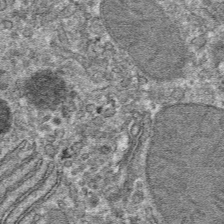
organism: Mouse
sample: Mouse hepatocytes